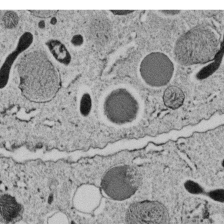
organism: C. elegans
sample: C. elegans embryo early stage